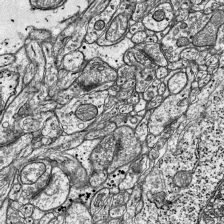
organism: Mouse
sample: Visual Cortex